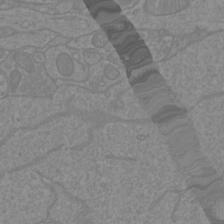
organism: Mouse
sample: Cortical neurons